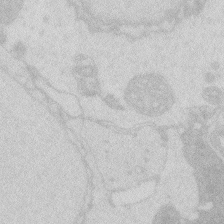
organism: Zebrafish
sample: Macrophage